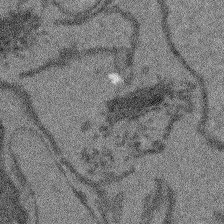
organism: Arabidopsis thaliana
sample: Root tip